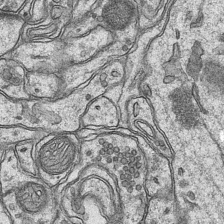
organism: Mouse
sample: CA1 Hippocampus